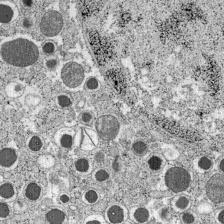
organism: C57BL Mouse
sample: Pancreatic islet